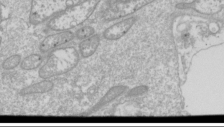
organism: Drosophila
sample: Cell division; meiosis; drosophila spermatocytes